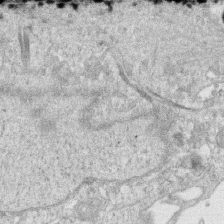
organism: Human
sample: HeLa cell HIV synapse